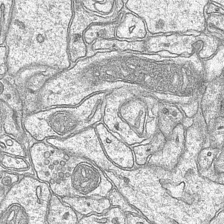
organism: Mouse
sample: CA1 Hippocampus